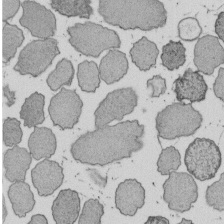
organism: E. coli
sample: Bacterial nucleoid